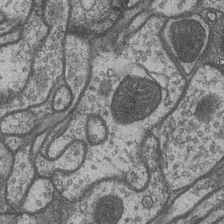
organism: Drosophila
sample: Optic medulla